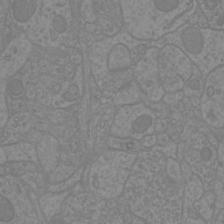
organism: Mouse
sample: Cortical neurons